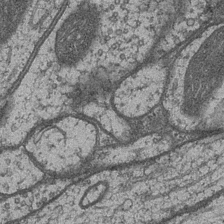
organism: Drosophila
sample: Optic medulla